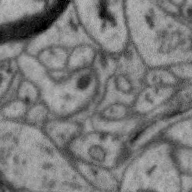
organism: Zebra finch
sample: Brain